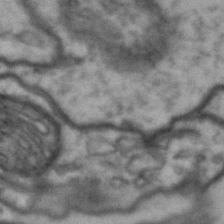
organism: Drosophila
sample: Brain